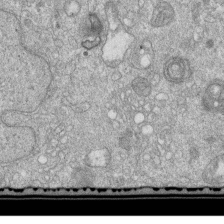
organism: Human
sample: HeLa cell HIV synapse